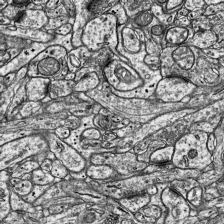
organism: Mouse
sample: Visual Cortex